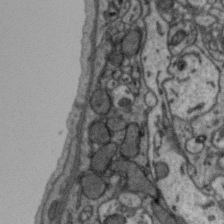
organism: Zebra finch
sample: Brain